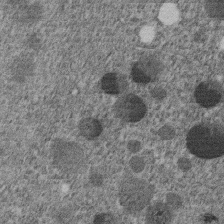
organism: C. elegans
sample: C. elegans embryo early stage